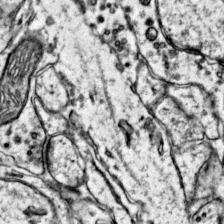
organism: Mouse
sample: Primary visual cortex